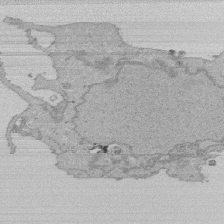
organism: Human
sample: Activated Jurkat CD4+ T cells